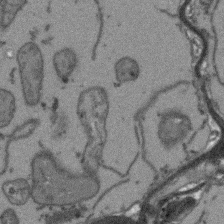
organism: Arabidopsis thaliana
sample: Root tip